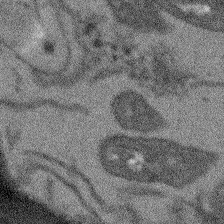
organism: Arabidopsis thaliana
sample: Root tip